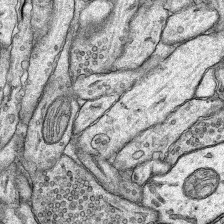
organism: Rat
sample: Hippocampus